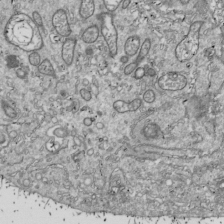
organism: Drosophila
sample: Cell division; meiosis; drosophila spermatocytes